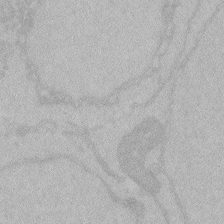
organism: Zebrafish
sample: Macrophage infected with Toxoplasma gondii